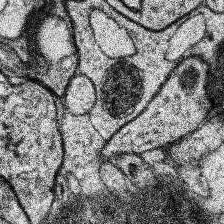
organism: Human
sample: Temporal Lobe